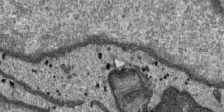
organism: Human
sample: Lung epithelial cells, uninfected (mock) control